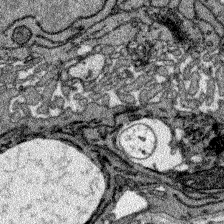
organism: Zebrafish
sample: Larval olfactory bulb